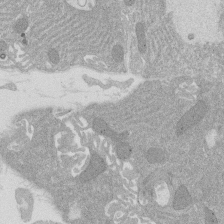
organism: Rat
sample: Salivary granule